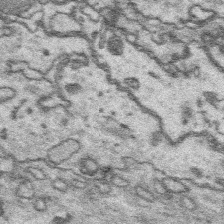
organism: Platynereis dumerilii